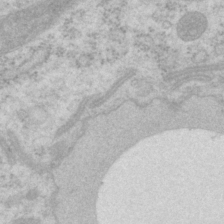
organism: P. pacificus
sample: Pharynx